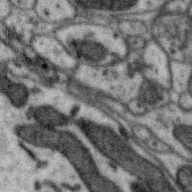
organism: Zebra finch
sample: Brain